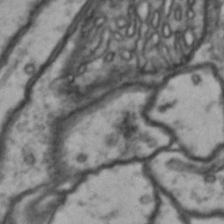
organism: Drosophila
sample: Brain